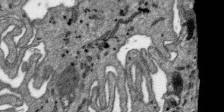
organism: Human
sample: Lung epithelial cells, uninfected (mock) control